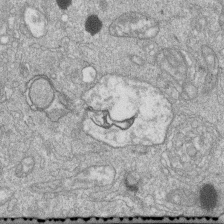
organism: Human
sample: HeLa cell HIV synapse